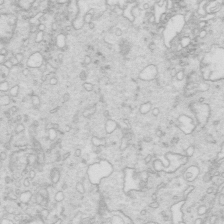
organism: Mouse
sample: Multiciliated cells